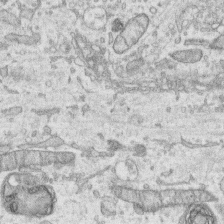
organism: Human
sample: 1205lu cells